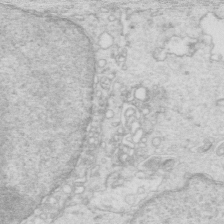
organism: Mouse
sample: Multiciliated cells